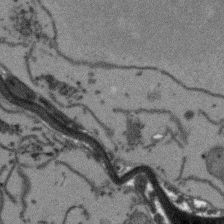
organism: Arabidopsis thaliana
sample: Root tip